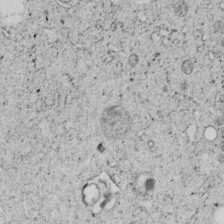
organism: C. elegans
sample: C. elegans embryo early stage